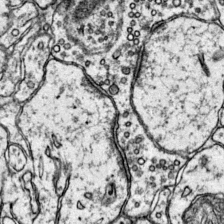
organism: Mouse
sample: Primary visual cortex